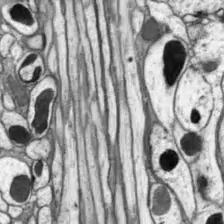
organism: Drosophila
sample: Optic lobe